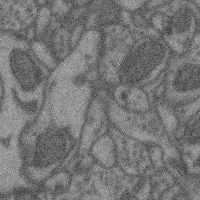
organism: Mouse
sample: Cerebral cortex